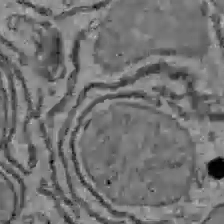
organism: C57BL Mouse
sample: Liver